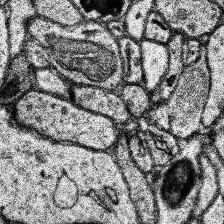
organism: Human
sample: Temporal Lobe